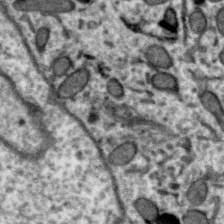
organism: Zebra finch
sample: Brain